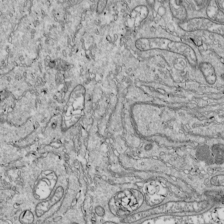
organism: Drosophila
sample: Cell division; meiosis; drosophila spermatocytes